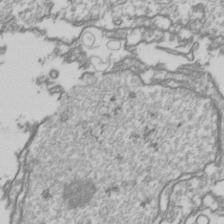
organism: Drosophila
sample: Cell division; meiosis; drosophila spermatocytes